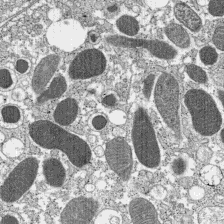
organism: C57BL Mouse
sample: Pancreatic islet